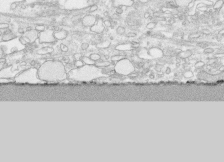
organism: Human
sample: CRL-1474